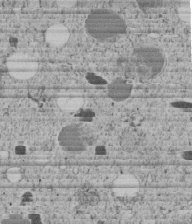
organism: C. elegans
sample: C. elegans embryo early stage